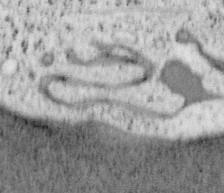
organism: Mouse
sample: OT-I killer T cells with ID8 ovarian cancer cells